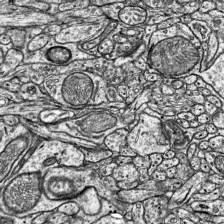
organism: Mouse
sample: Visual Cortex